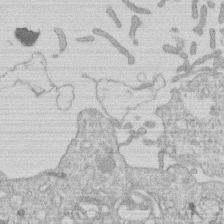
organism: Human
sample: Macrophage cells